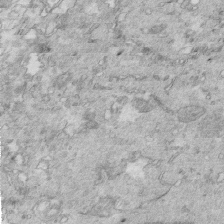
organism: Mouse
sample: Multiciliated cells